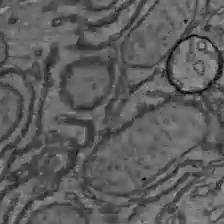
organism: C57BL Mouse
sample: Liver